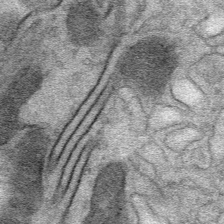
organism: Mouse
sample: Mouse Salivary gland